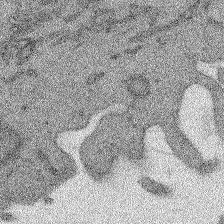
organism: Human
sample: HeLa cells